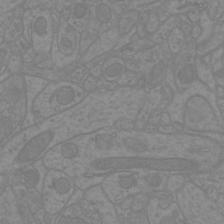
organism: Mouse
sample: Cortical neurons